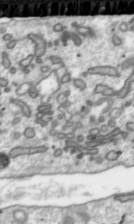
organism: Toxoplasma gondii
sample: Parasites in a vacuole inside a host cell